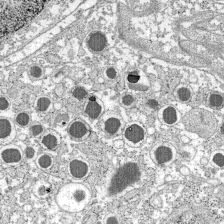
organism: C57BL Mouse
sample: Pancreatic islet